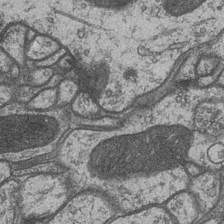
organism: Drosophila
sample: Optic medulla